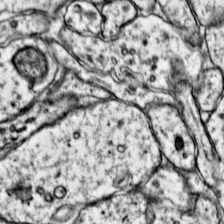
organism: Mouse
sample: Primary visual cortex